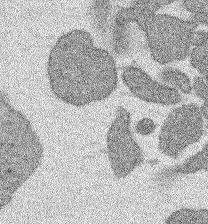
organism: Human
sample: HeLa cells